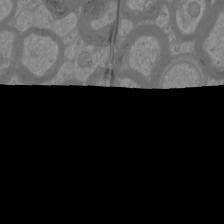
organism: Mouse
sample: Cortical neurons